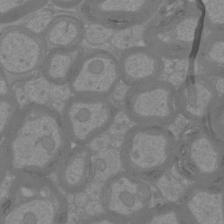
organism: Mouse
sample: Cortical neurons